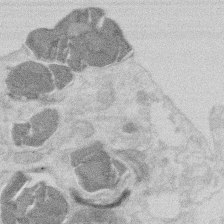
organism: Mouse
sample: T cell stromal cell synapse